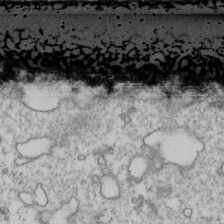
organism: Human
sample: Activated Jurkat CD4+ T cells